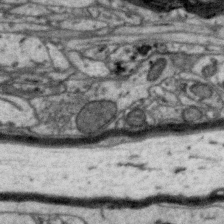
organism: Zebra finch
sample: Brain